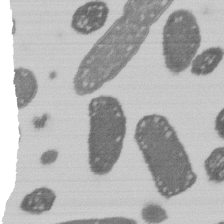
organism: E. coli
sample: Bacterial nucleoid